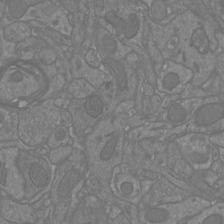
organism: Mouse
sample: Cortical neurons